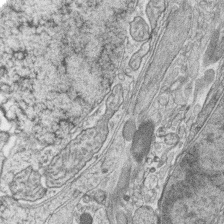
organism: Zebrafish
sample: synaptic ribbons in rod cells and cone cells